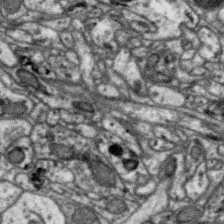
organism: Zebra finch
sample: Brain